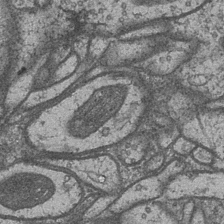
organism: Drosophila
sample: Optic medulla